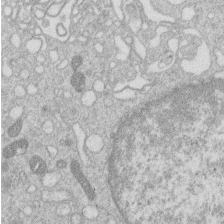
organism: Human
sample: Macrophage cells